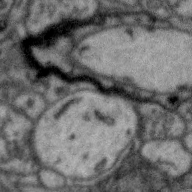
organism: Zebra finch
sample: Brain